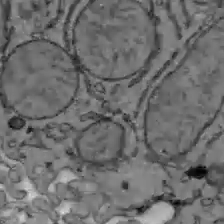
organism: C57BL Mouse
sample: Liver